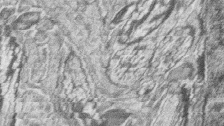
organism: Zebrafish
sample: synaptic ribbons in rod cells and cone cells